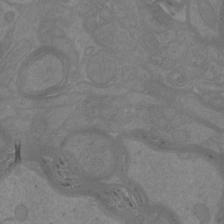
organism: Mouse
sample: Cortical neurons